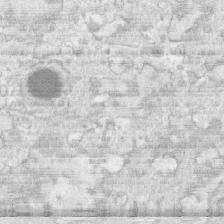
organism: Human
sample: CRL-1474